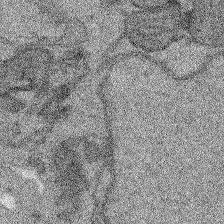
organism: Human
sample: HeLa cells